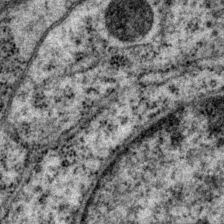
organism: P. pacificus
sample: Pharynx